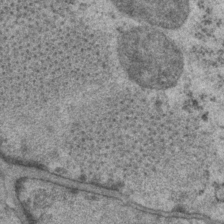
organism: P. pacificus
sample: Pharynx